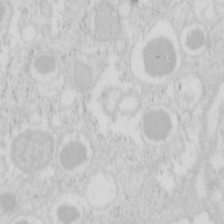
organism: Mouse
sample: Pancreas